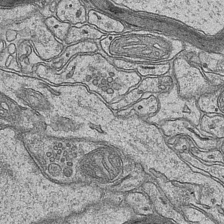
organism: Mouse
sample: CA1 Hippocampus